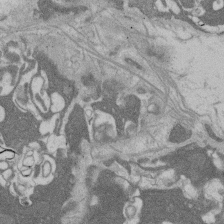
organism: Rat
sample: Salivary granule